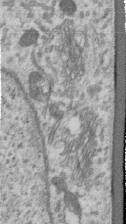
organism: Human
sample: Centriole in RPE cells